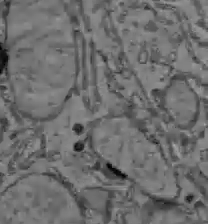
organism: C57BL Mouse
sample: Liver